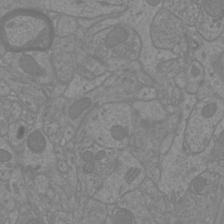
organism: Mouse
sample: Cortical neurons